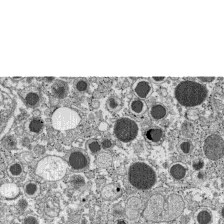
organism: C57BL Mouse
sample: Pancreatic islet